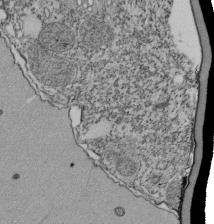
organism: Tetrahymena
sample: Cilia in tetrahymena